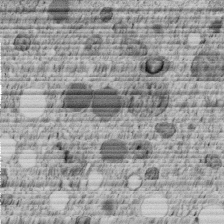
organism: C. elegans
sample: C. elegans embryo early stage